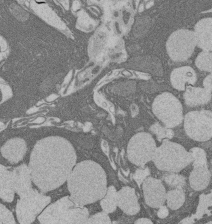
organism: Rat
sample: Salivary granule